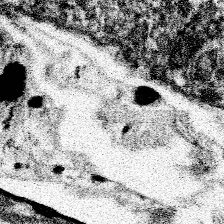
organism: Spongilla lacustris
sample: Neuroid cell